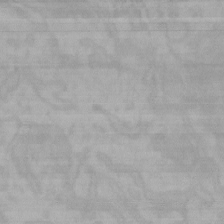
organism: Mouse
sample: Choroid plexus